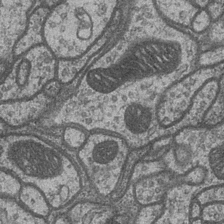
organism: Drosophila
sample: Optic medulla